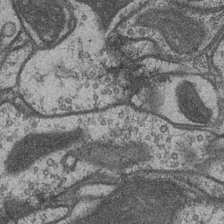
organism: Drosophila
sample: Optic medulla